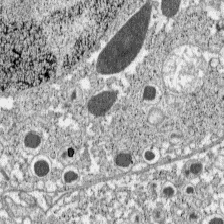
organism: C57BL Mouse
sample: Pancreatic islet